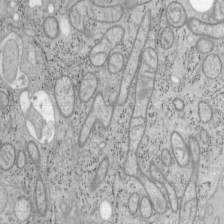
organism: Mouse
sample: OT-I killer T cells with ID8 ovarian cancer cells